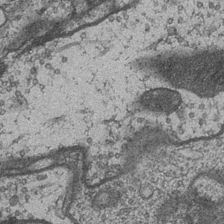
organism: Drosophila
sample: Optic medulla